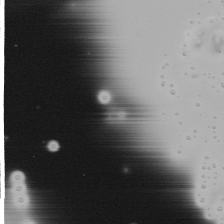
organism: Mouse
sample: Cancer cell death in ED-1 cells